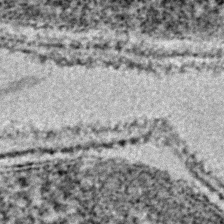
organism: E. coli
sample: E. Coli Bacteria